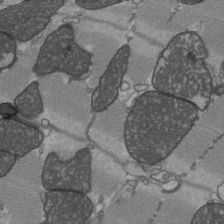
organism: C57BL Mouse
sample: Heart